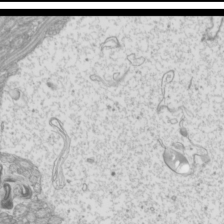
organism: Mouse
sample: Cilia; mouse epididymis